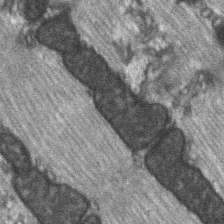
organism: C57BL Mouse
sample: Soleus